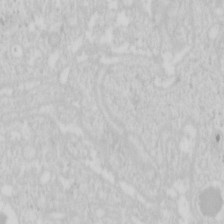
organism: Mouse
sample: Pancreas